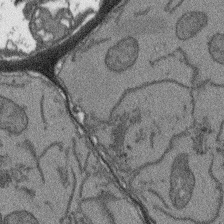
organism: Arabidopsis thaliana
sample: Root tip